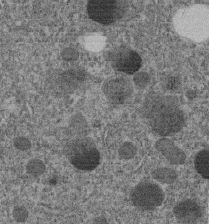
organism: C. elegans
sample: C. elegans embryo early stage